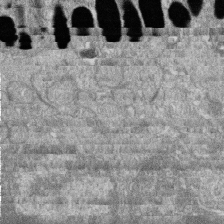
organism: Zebrafish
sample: Cilia; retinal pigment epithelium